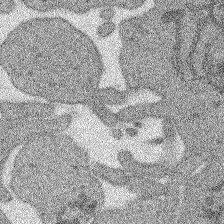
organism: Human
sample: HeLa cells